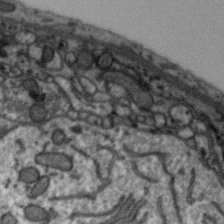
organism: Zebra finch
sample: Brain